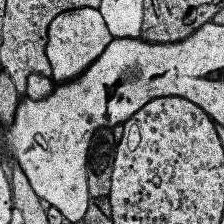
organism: Human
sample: Temporal Lobe